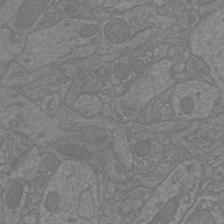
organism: Mouse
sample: Cortical neurons